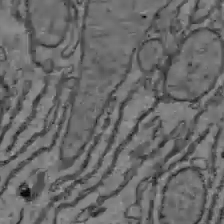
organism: C57BL Mouse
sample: Liver